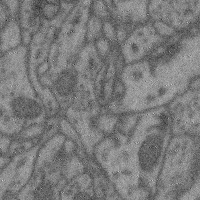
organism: Mouse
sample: Cerebral cortex